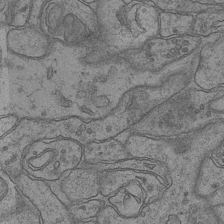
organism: Mouse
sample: CA1 Hippocampus